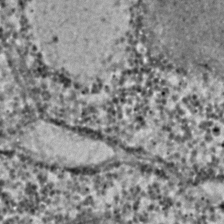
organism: C. elegans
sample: C. elegans embryo